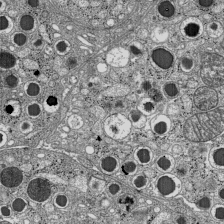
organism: C57BL Mouse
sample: Pancreatic islet